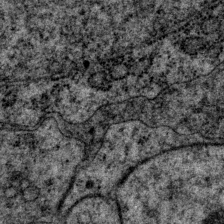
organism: P. pacificus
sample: Pharynx